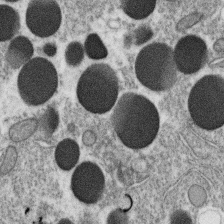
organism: C. elegans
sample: C. elegans oocyte; sperm cells